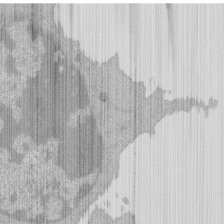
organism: Mouse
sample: Activated Pmel transgenic CD8+ T Cells